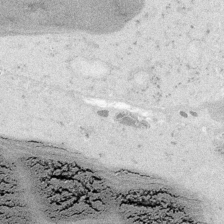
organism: Embia sp.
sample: Silk gland